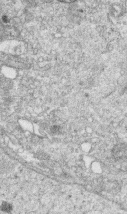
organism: Human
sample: HeLa cell HIV synapse